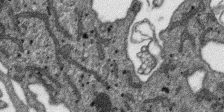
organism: Human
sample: Lung epithelial cells infected with SARS-CoV-2